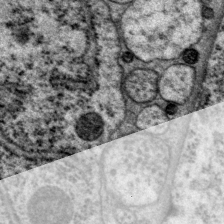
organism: P. pacificus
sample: Pharynx